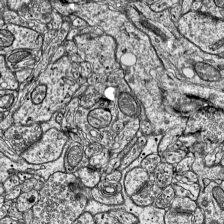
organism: Mouse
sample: Visual Cortex